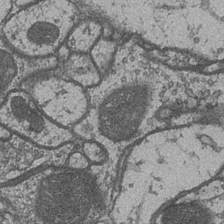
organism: Drosophila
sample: Optic medulla